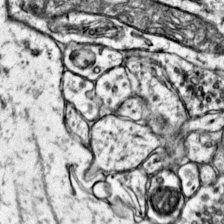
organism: Mouse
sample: Primary visual cortex